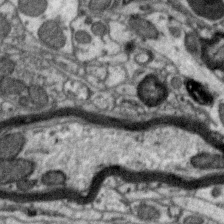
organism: Zebra finch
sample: Brain